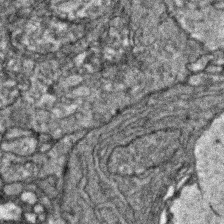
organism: Zebrafish